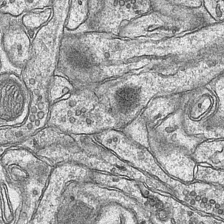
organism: Mouse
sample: CA1 Hippocampus